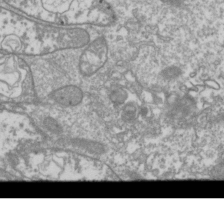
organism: Drosophila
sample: Cell division; meiosis; drosophila spermatocytes